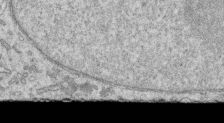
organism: Human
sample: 1205lu cells